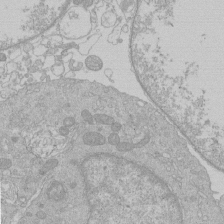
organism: Human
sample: Macrophage cells